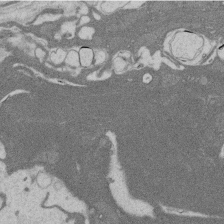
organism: Rat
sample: Salivary granule